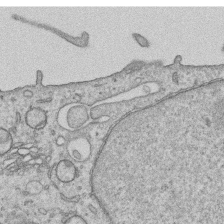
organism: Human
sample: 1205lu cells